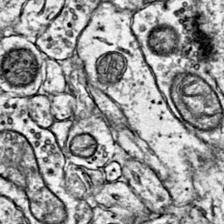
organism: Mouse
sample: Primary visual cortex